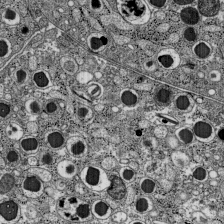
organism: C57BL Mouse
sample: Pancreatic islet